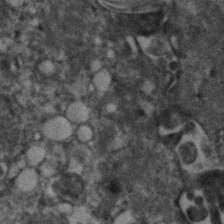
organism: Human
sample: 1205lu cells